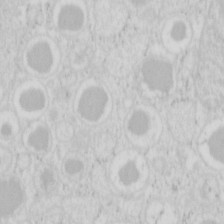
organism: Mouse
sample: Pancreas